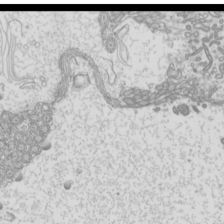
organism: Mouse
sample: Cilia; mouse epididymis